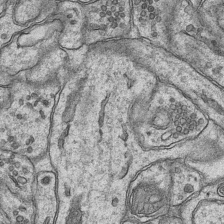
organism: Mouse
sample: CA1 Hippocampus